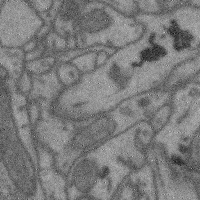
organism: Mouse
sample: Cerebral cortex